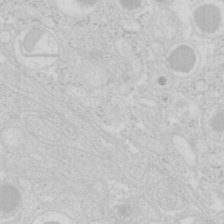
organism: Mouse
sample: Pancreas